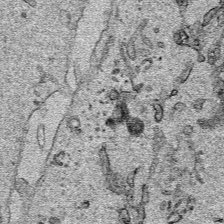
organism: Human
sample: Mitochondria in HCT116 cells